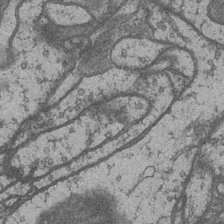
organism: Drosophila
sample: Optic medulla